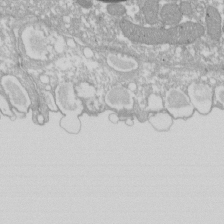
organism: Xenopus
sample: Cilia; centrioles in frog embryo cells